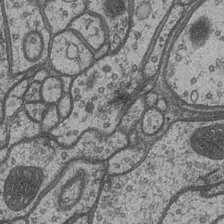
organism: Drosophila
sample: Optic medulla